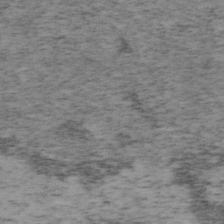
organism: Mouse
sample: OT-I killer T cells with ID8 ovarian cancer cells